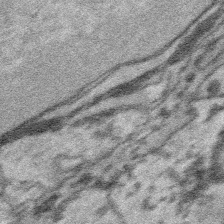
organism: Platynereis dumerilii